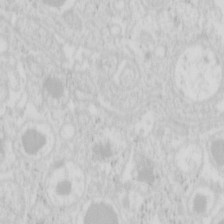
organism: Mouse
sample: Pancreas